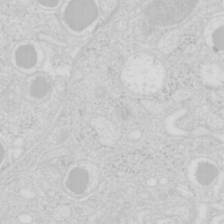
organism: Mouse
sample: Pancreas